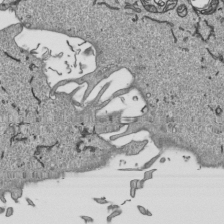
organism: Human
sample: Mitochondria in HCT116 cells